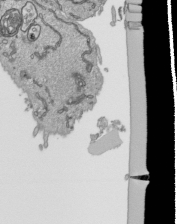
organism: Human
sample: Mitochondria in HCT116 cells